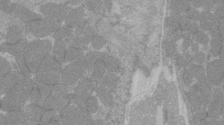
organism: C57BL Mouse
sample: Tibialis anterior muscle cell